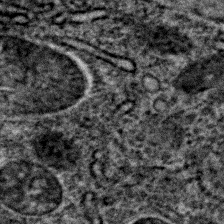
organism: C. elegans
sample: C. elegans embryo